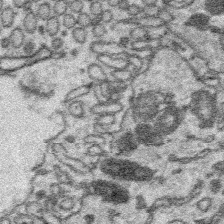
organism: Platynereis dumerilii